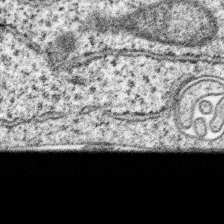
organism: Human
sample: HeLa cells